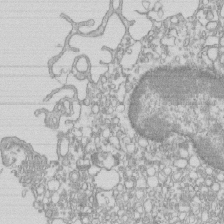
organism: Mouse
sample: Macrophages